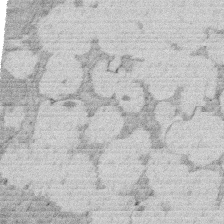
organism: Rat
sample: Salivary granule